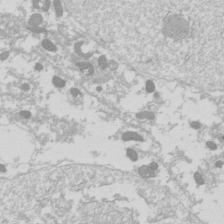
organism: Drosophila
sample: Cell division; meiosis; drosophila spermatocytes